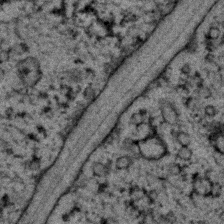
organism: C. elegans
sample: C. elegans embryo